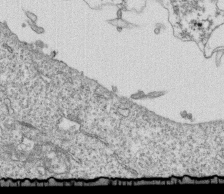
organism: Human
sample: HeLa cell HIV synapse